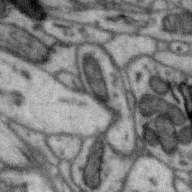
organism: Zebra finch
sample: Brain